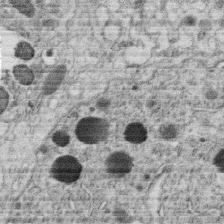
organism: C. elegans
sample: C. elegans oocyte; sperm cells